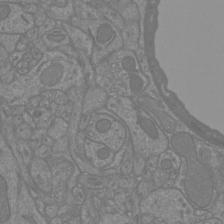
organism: Mouse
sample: Cortical neurons